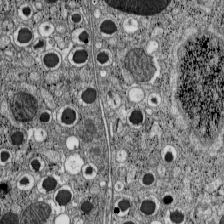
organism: C57BL Mouse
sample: Pancreatic islet